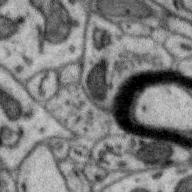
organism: Zebra finch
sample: Brain